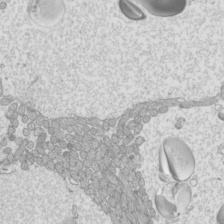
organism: Mouse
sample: Cilia; mouse epididymis